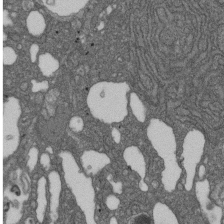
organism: Drosophila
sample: Nephrocyte